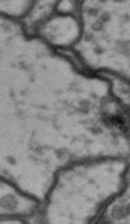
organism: Drosophila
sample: Brain